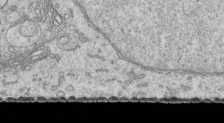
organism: Human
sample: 1205lu cells